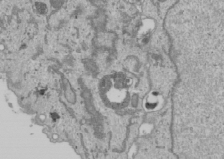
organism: Human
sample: Mitochondria in U2OS cells